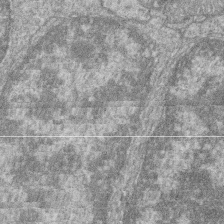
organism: Zebrafish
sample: Cilia; retinal pigment epithelium